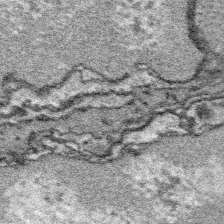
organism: Platynereis dumerilii